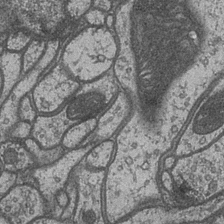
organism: Drosophila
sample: Optic medulla